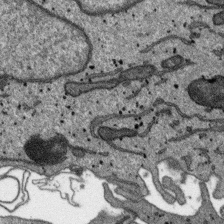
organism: Human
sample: Lung epithelial cells, uninfected (mock) control